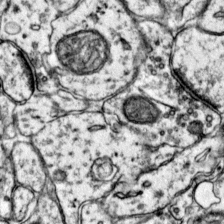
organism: Mouse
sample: Primary visual cortex